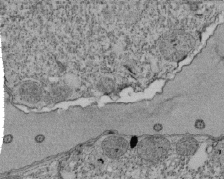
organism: Tetrahymena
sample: Cilia in tetrahymena